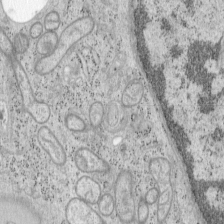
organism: Mouse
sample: OT-I killer T cells with ID8 ovarian cancer cells